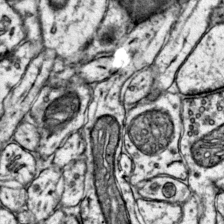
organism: Mouse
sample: Primary visual cortex